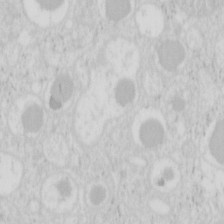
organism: Mouse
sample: Pancreas